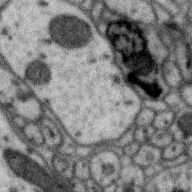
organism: Zebra finch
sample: Brain